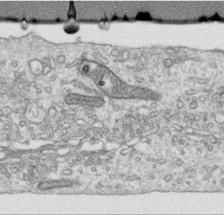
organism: Human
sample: Centriole in RPE cells